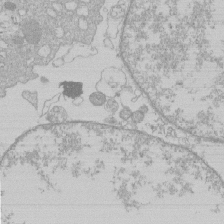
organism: Human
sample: Macrophage cells